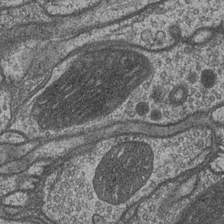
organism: Drosophila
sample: Optic medulla